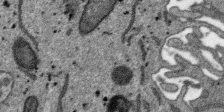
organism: Human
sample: Lung epithelial cells, uninfected (mock) control